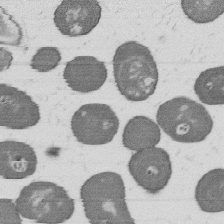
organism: B. subtilis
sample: Bacterial spore